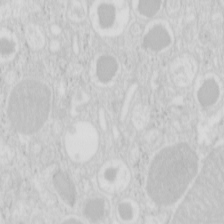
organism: Mouse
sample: Pancreas